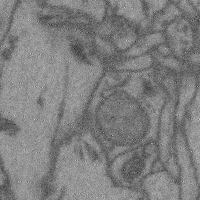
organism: Mouse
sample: Cerebral cortex